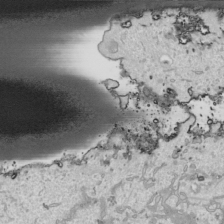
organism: Human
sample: Mitochondria in HCT116 cells